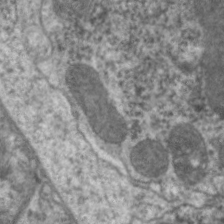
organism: C. elegans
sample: Pharynx